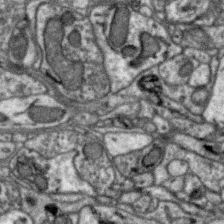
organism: Zebra finch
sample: Brain